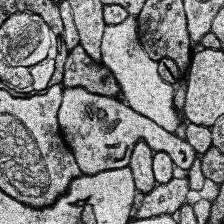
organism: Human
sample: Temporal Lobe